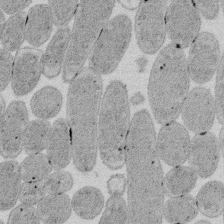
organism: E. coli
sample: Bacterial nucleoid